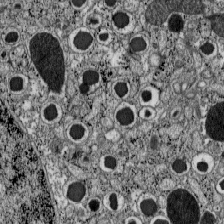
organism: C57BL Mouse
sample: Pancreatic islet